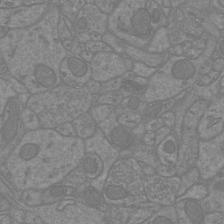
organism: Mouse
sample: Cortical neurons